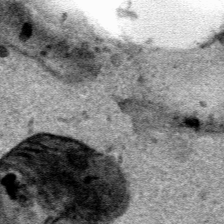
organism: Human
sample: Mitochondria in HCT116 cells